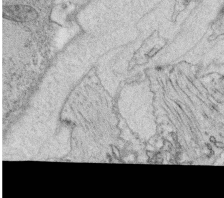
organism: C. elegans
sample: C. elegans oocyte; sperm cells